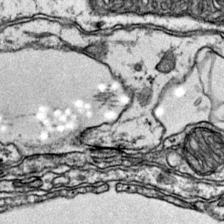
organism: Mouse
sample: Primary visual cortex